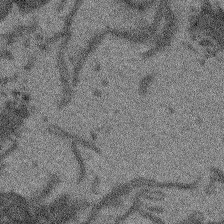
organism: Arabidopsis thaliana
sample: Root tip